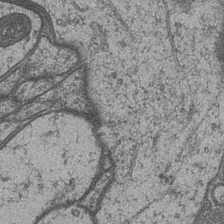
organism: Drosophila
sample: Optic medulla